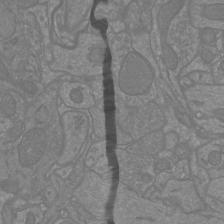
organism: Mouse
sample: Cortical neurons